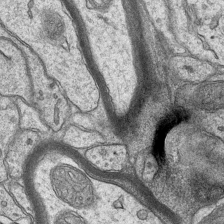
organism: Mouse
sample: CA1 Hippocampus